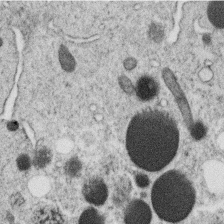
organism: C. elegans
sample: C. elegans oocyte; sperm cells